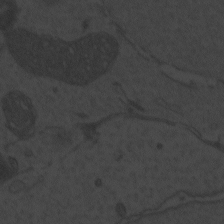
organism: Zebrafish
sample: Macrophage infected with Toxoplasma gondii